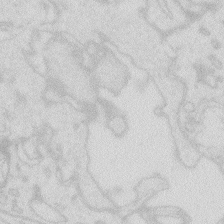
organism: Zebrafish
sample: Macrophage